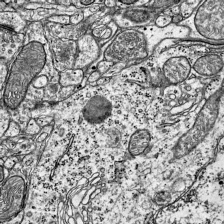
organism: Mouse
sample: Visual Cortex